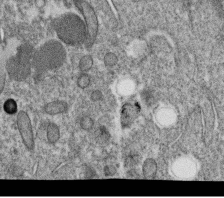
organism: C. elegans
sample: C. elegans oocyte; sperm cells